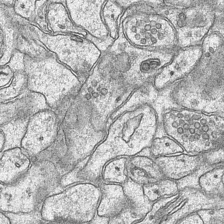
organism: Mouse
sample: CA1 Hippocampus